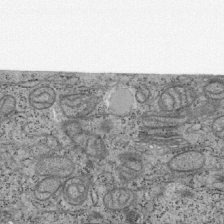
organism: Human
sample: HeLa cells